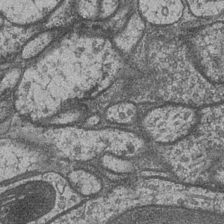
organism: Drosophila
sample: Optic medulla